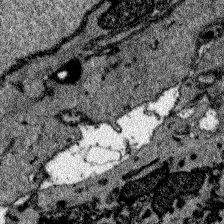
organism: Zebrafish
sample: Larval olfactory bulb